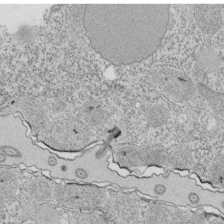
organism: Tetrahymena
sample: Cilia in tetrahymena